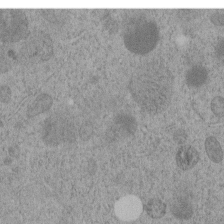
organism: C. elegans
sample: C. elegans embryo early stage